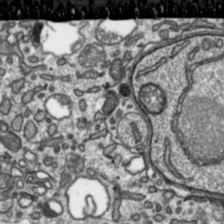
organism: Toxoplasma gondii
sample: Parasites in a vacuole inside a host cell